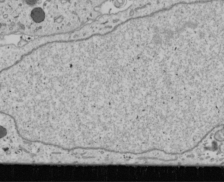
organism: Human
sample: Mitochondria in U2OS cells